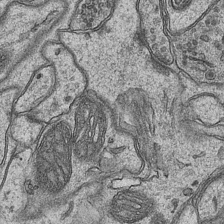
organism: Mouse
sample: CA1 Hippocampus